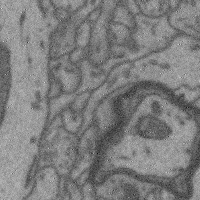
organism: Mouse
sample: Cerebral cortex